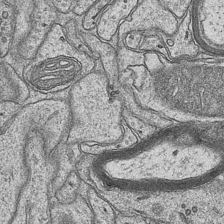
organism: Mouse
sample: CA1 Hippocampus